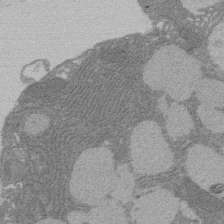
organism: Rat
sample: Salivary granule